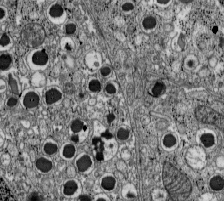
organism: C57BL Mouse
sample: Pancreatic islet